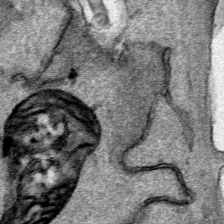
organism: Human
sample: Mitochondria in HCT116 cells